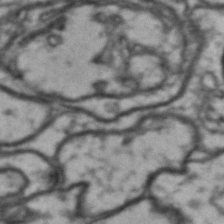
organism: Drosophila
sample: Brain